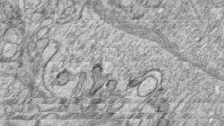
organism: Zebrafish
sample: synaptic ribbons in rod cells and cone cells